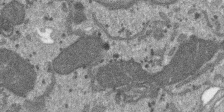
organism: Human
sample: Lung epithelial cells infected with SARS-CoV-2